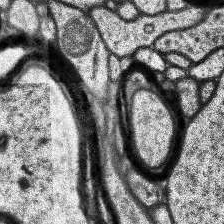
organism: Human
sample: Temporal Lobe